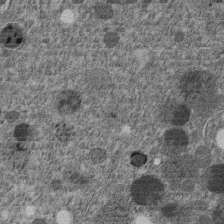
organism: C. elegans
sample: C. elegans embryo early stage